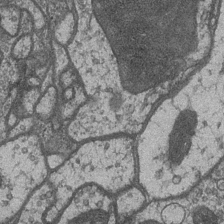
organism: Drosophila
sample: Optic medulla